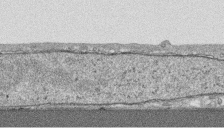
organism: Human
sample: CRL-1474